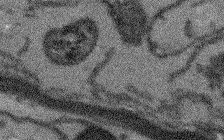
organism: Arabidopsis thaliana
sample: Root tip